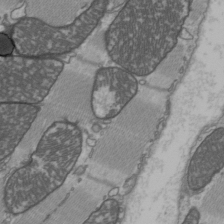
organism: C57BL Mouse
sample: Heart